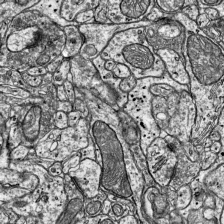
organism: Mouse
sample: Visual Cortex